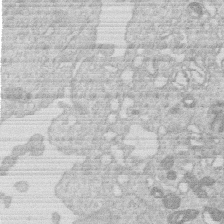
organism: Human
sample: Macrophage cells